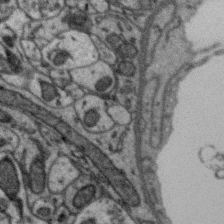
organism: Zebra finch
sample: Brain